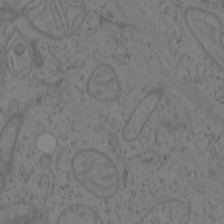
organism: Human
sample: HeLa cells